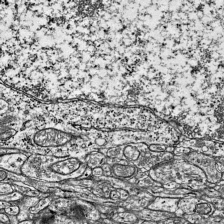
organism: Mouse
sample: Visual Cortex